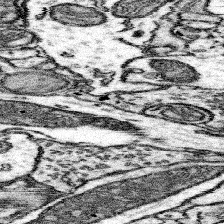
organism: Mouse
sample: Somatosensory cortex neuropil